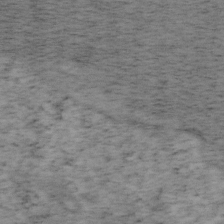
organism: Mouse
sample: OT-I killer T cells with ID8 ovarian cancer cells